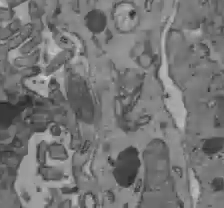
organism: C57BL Mouse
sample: Liver